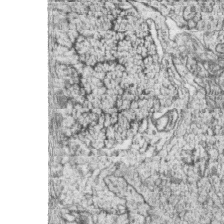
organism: Zebrafish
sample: synaptic ribbons in rod cells and cone cells